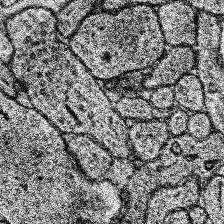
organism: Human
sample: Temporal Lobe